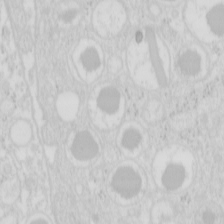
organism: Mouse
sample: Pancreas